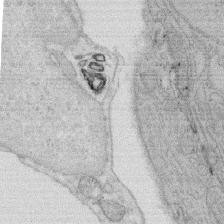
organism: Rat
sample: Salivary granule